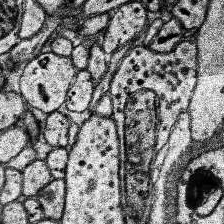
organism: Human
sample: Temporal Lobe